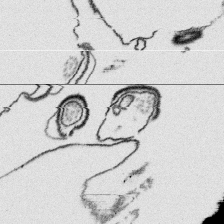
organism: Platynereis dumerilii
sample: Parapodia